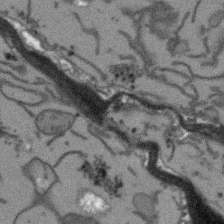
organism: Arabidopsis thaliana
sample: Root tip